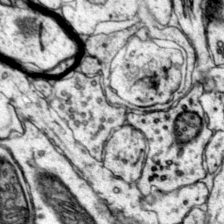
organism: Mouse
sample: Primary visual cortex